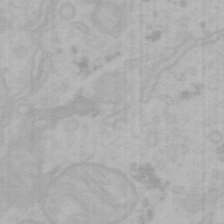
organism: Mouse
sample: Choroid plexus